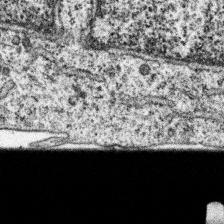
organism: Human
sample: HeLa cells